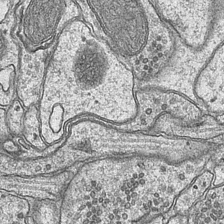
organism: Mouse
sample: CA1 Hippocampus